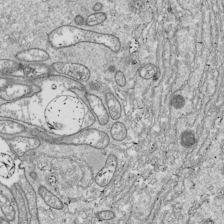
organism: Drosophila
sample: Cell division; meiosis; drosophila spermatocytes